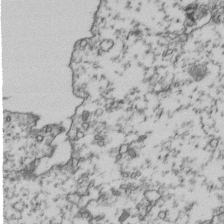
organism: Human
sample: Activated Jurkat CD4+ T cells